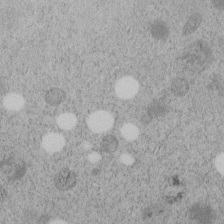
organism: C. elegans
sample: C. elegans embryo early stage